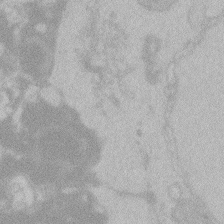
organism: Zebrafish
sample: Macrophage infected with Toxoplasma gondii